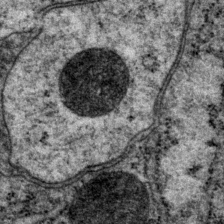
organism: P. pacificus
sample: Pharynx